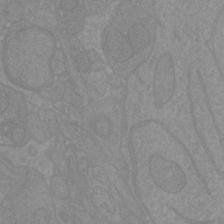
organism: Mouse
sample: Cortical neurons